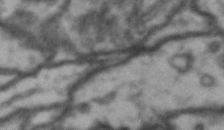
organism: Drosophila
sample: Brain